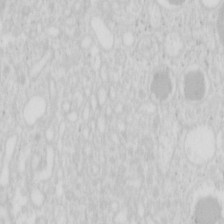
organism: Mouse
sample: Pancreas